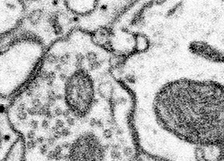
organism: Mouse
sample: Somatosensory cortex neuropil